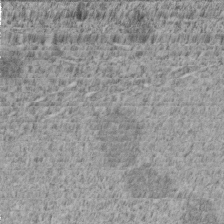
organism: C. elegans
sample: C. elegans embryo early stage